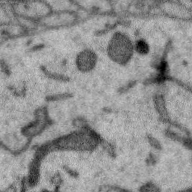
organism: Zebra finch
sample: Brain